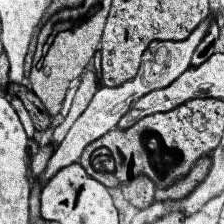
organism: Human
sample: Temporal Lobe